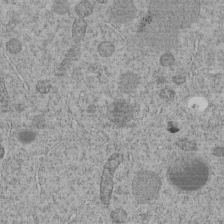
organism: C. elegans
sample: C. elegans embryo early stage